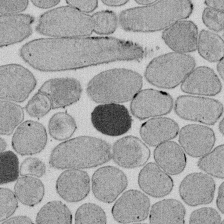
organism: E. coli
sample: Bacterial nucleoid